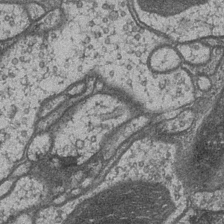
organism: Drosophila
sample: Optic medulla